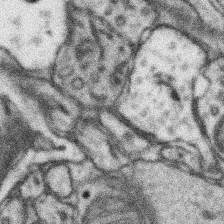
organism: Mouse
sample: Somatosensory cortex neuropil